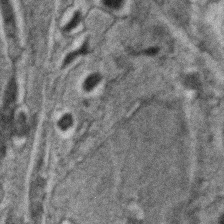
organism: Zebrafish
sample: Zebrafish embryo